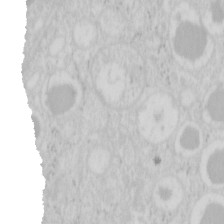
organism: Mouse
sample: Pancreas